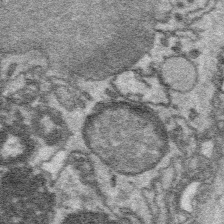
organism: Platynereis dumerilii